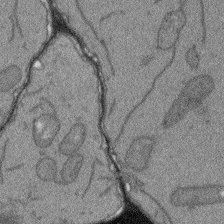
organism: Arabidopsis thaliana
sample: Root tip